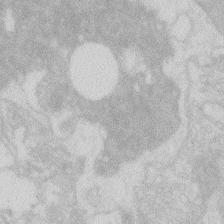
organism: Zebrafish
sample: Macrophage